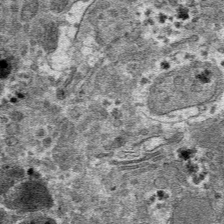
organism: Mouse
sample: Mouse hepatocytes